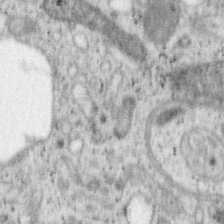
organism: Mouse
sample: OT-I killer T cells with ID8 ovarian cancer cells